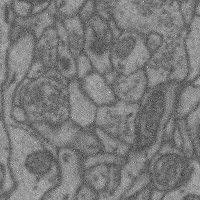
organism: Mouse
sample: Cerebral cortex